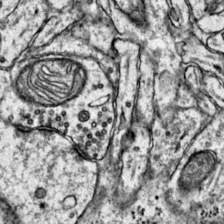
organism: Mouse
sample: Primary visual cortex